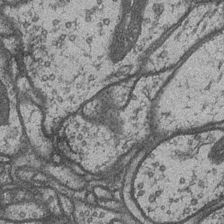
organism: Drosophila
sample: Optic medulla